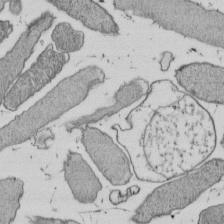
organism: E. coli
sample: Bacterial nucleoid